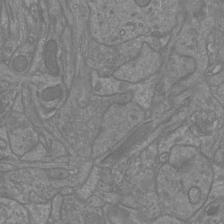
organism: Mouse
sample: Cortical neurons